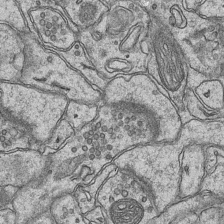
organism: Mouse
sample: CA1 Hippocampus